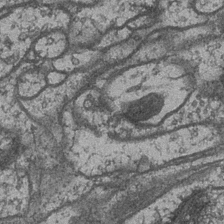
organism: Drosophila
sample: Optic medulla